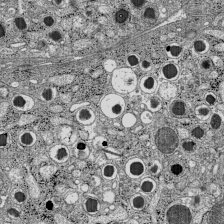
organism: C57BL Mouse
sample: Pancreatic islet